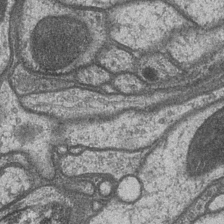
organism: Drosophila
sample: Optic medulla